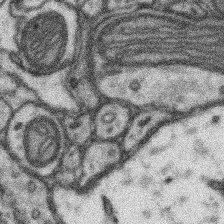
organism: Mouse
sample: Somatosensory cortex neuropil